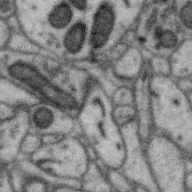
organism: Zebra finch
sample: Brain